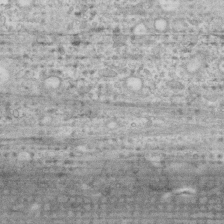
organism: Human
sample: Fibroblast cells